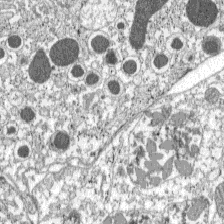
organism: C57BL Mouse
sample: Pancreatic islet